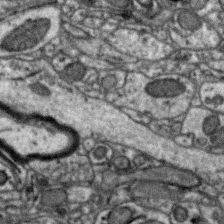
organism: Zebra finch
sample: Brain